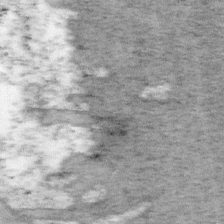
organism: Mouse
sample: OT-I killer T cells with ID8 ovarian cancer cells